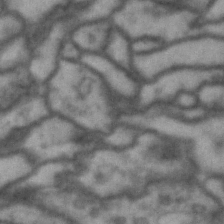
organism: Drosophila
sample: Brain